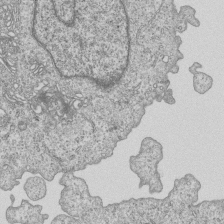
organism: Human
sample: MDA-MB-231 cells